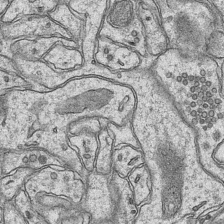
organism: Mouse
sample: CA1 Hippocampus